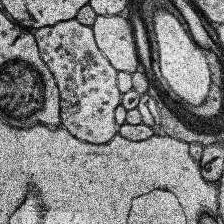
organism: Human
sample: Temporal Lobe